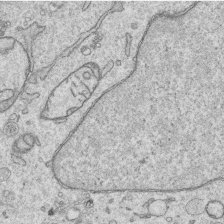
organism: Human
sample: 1205lu cells